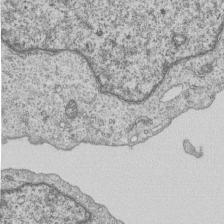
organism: Human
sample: MDA-MB-231 cells